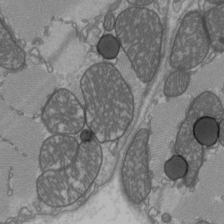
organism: C57BL Mouse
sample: Heart